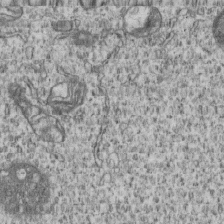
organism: Human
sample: MDA-MB-231 cells